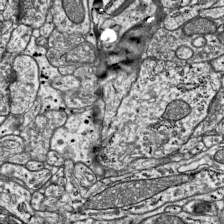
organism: Mouse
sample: Visual Cortex